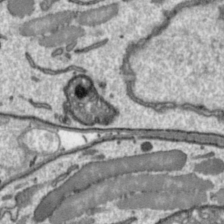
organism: Toxoplasma gondii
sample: Parasites in a vacuole inside a host cell